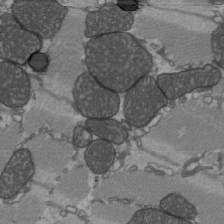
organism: C57BL Mouse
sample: Heart